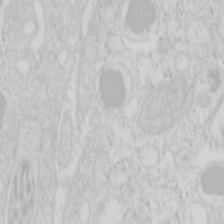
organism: Mouse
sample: Pancreas